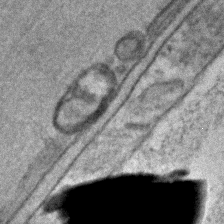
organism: C. elegans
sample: C. elegans embryo